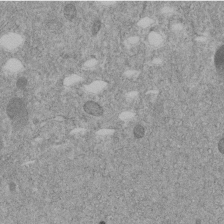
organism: C. elegans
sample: C. elegans embryo early stage